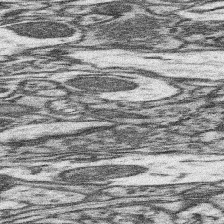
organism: Mouse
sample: Somatosensory cortex neuropil